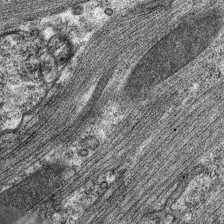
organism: C. elegans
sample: Pharynx